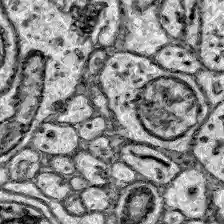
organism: Zebrafish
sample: Brain